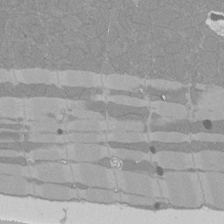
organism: Rat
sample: Left ventricle